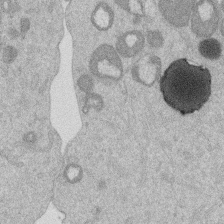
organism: Mouse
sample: Dividing mouse embryo 1 cell stage